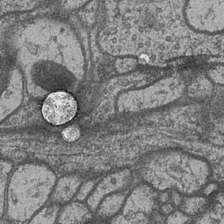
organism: Drosophila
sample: Optic medulla